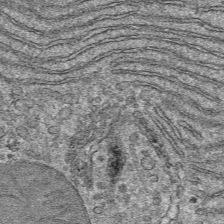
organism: Mouse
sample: Mouse hepatocytes